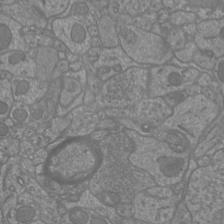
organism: Mouse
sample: Cortical neurons